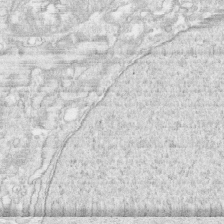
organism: Human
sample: CRL-1474